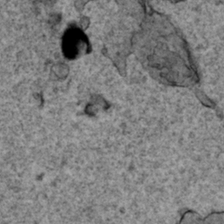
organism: Human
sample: Mitochondria in HCT116 cells